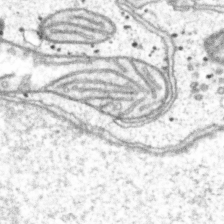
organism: Human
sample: HeLa cells